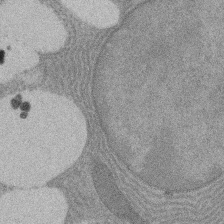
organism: Rat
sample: Salivary granule